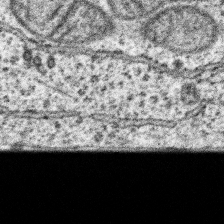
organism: Human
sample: HeLa cells